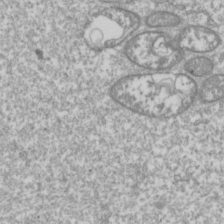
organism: Drosophila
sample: Cell division; meiosis; drosophila spermatocytes